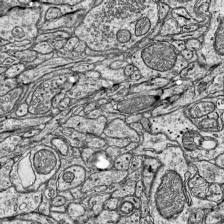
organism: Mouse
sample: Visual Cortex